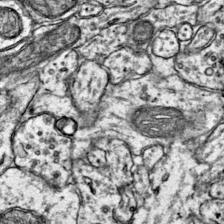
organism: Mouse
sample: Primary visual cortex